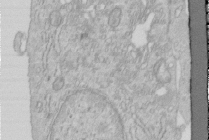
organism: Human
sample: Centriole in RPE cells